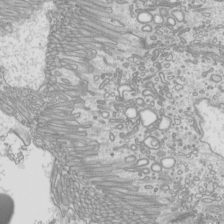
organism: Mouse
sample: Cilia; mouse epididymis